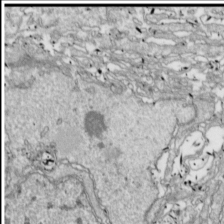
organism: Drosophila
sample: Cell division; meiosis; drosophila spermatocytes